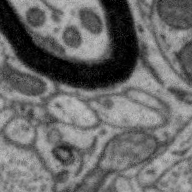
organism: Zebra finch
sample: Brain